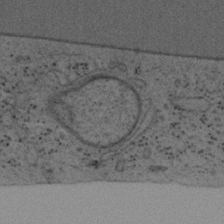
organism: Human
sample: HeLa cells